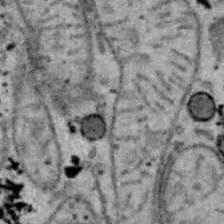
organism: Mouse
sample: Liver from an obese (ob/ob) mouse